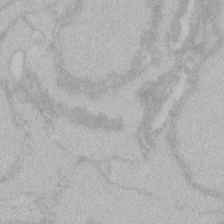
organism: Zebrafish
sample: Macrophage infected with Toxoplasma gondii